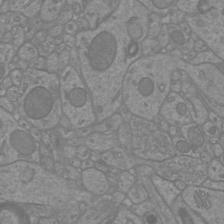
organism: Mouse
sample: Cortical neurons